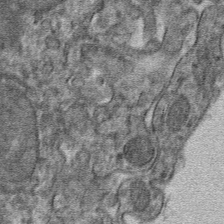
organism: Mouse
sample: Mouse hepatocytes